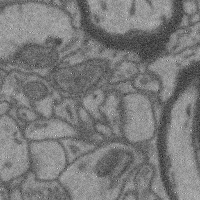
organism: Mouse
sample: Cerebral cortex